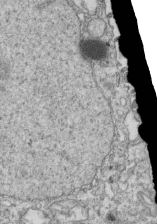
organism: Human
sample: HeLa cell HIV synapse